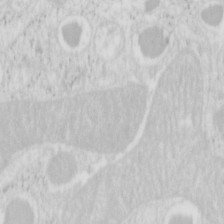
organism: Mouse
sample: Pancreas